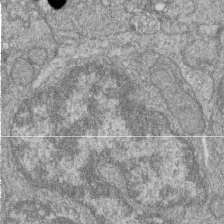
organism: Zebrafish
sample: Cilia; retinal pigment epithelium